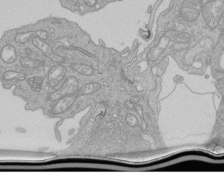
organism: Human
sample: Retinal organoid Rod and Cone cells